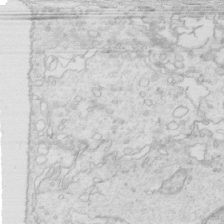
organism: Mouse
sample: Multiciliated cells